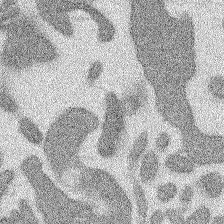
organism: Human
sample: HeLa cells